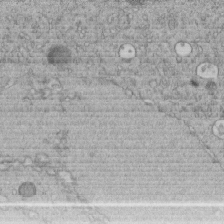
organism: C. elegans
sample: C. elegans embryo early stage